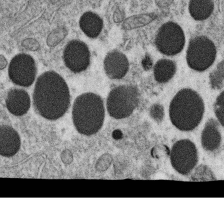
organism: C. elegans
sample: C. elegans oocyte; sperm cells